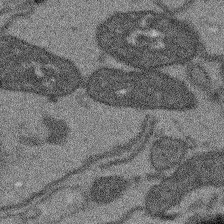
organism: Arabidopsis thaliana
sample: Root tip